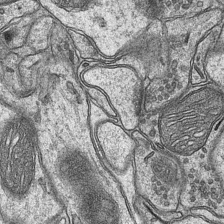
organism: Mouse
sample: CA1 Hippocampus